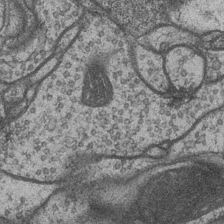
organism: Drosophila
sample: Optic medulla